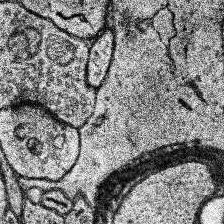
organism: Human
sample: Temporal Lobe